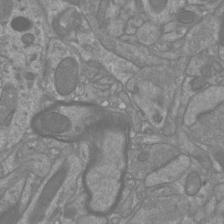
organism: Mouse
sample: Cortical neurons